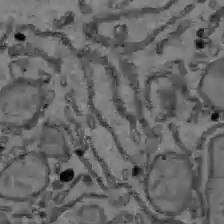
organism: C57BL Mouse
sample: Liver